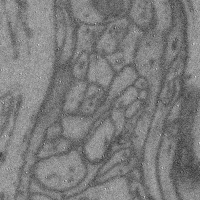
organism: Mouse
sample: Cerebral cortex